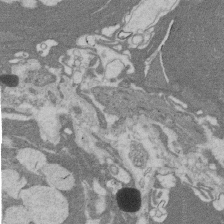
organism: Rat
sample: Salivary granule